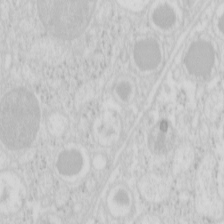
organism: Mouse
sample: Pancreas